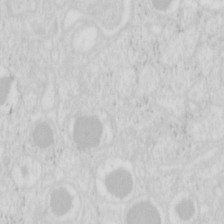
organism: Mouse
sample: Pancreas